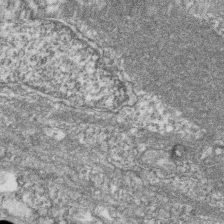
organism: Zebrafish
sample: Cilia; retinal pigment epithelium